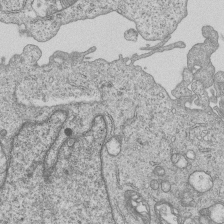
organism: Human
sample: MDA-MB-231 cells